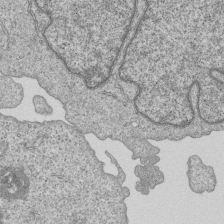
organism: Human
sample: MDA-MB-231 cells